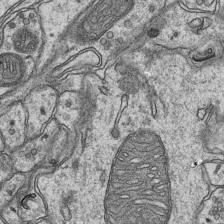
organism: Mouse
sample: CA1 Hippocampus